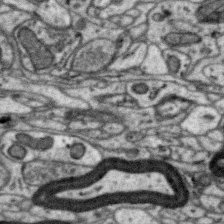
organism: Zebra finch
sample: Brain